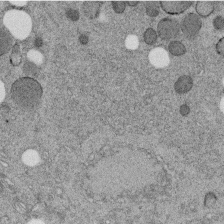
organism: C. elegans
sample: C. elegans embryo early stage